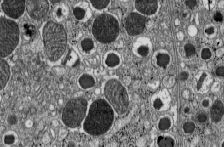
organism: C57BL Mouse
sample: Pancreatic islet